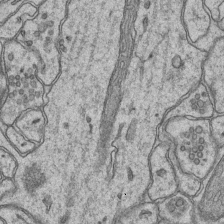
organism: Mouse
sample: CA1 Hippocampus